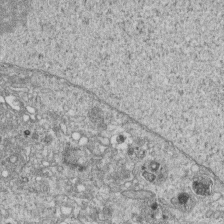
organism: Human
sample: HeLa cell HIV synapse